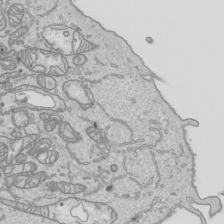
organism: Human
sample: Mitochondria in HCT116 cells